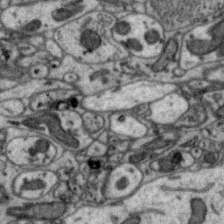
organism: Zebra finch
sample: Brain